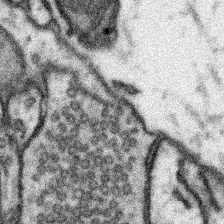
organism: Mouse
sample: Somatosensory cortex neuropil